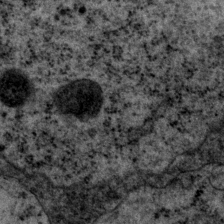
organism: P. pacificus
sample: Pharynx